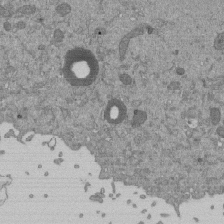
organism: Mouse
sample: ED-1 cell nuclei; centrioles